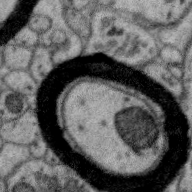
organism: Zebra finch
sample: Brain